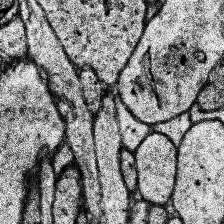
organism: Human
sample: Temporal Lobe